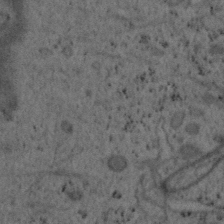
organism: Human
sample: HeLa cells